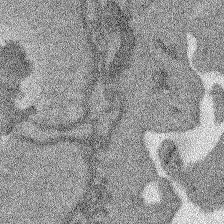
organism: Human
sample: HeLa cells